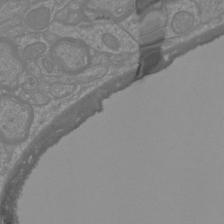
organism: Mouse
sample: Cortical neurons